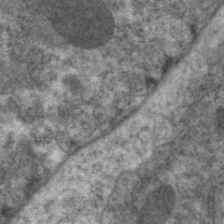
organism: C. elegans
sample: Pharynx